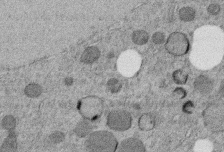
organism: C. elegans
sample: C. elegans embryo early stage